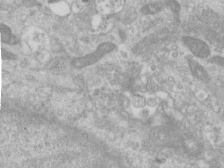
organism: Human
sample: Centriole in RPE cells